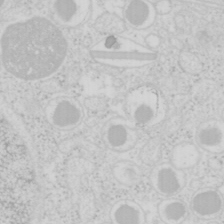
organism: Mouse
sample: Pancreas